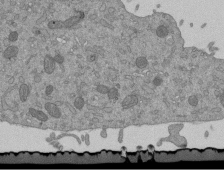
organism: Mouse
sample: ED-1 cell nuclei; centrioles